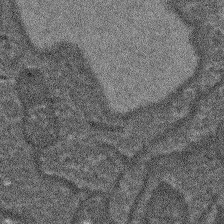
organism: Arabidopsis thaliana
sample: Root tip